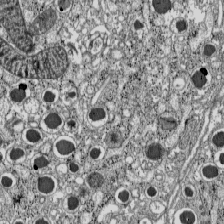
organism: C57BL Mouse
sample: Pancreatic islet